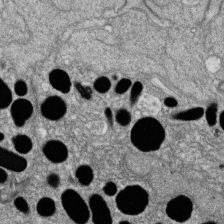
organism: Zebrafish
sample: Cilia; retinal pigment epithelium